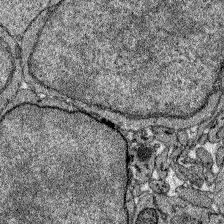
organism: Zebrafish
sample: Larval olfactory bulb